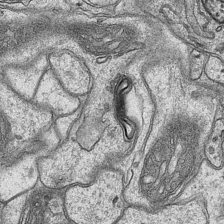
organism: Mouse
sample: CA1 Hippocampus